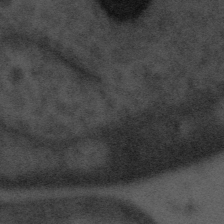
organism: Tuwongella immobilis